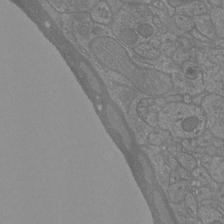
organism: Mouse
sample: Cortical neurons